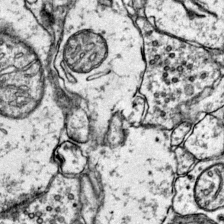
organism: Mouse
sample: Primary visual cortex